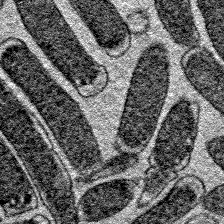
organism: E. coli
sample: E. Coli Bacteria